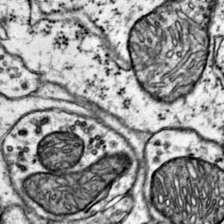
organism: Mouse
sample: Primary visual cortex